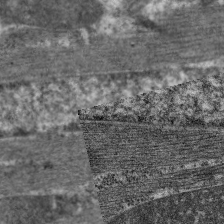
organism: C. elegans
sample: Pharynx